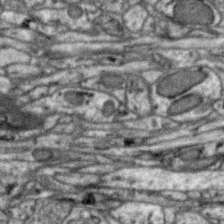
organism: Zebra finch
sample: Brain